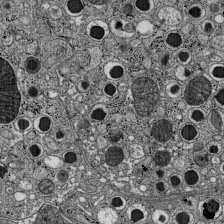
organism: C57BL Mouse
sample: Pancreatic islet